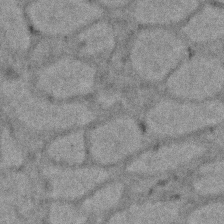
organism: Zebrafish